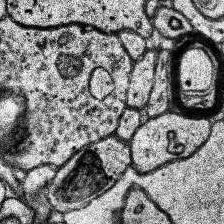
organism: Human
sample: Temporal Lobe